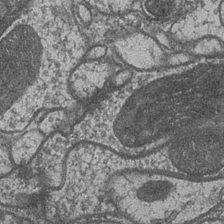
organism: Drosophila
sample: Optic medulla